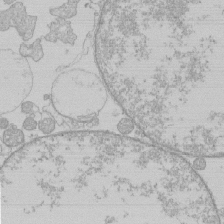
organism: Human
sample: Macrophage cells